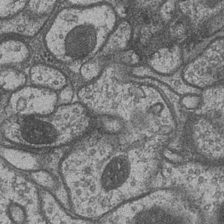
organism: Drosophila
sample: Optic medulla